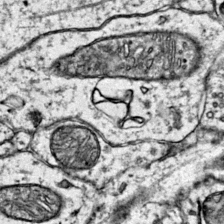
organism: Mouse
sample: Primary visual cortex